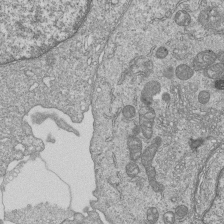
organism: Human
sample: MDA-MB-231 cells